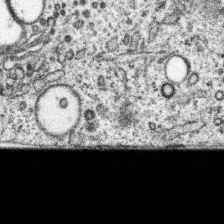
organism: Human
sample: HeLa cells